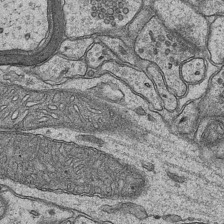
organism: Mouse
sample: CA1 Hippocampus